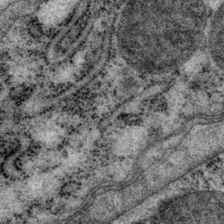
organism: P. pacificus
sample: Pharynx